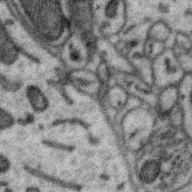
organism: Zebra finch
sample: Brain